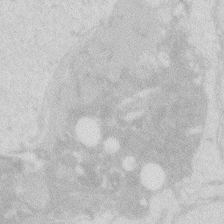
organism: Zebrafish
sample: Macrophage